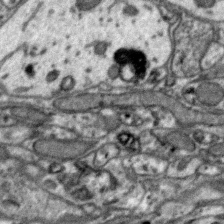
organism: Zebra finch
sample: Brain